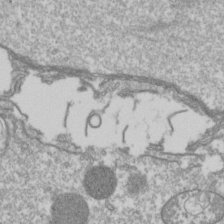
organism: Drosophila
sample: Cell division; meiosis; drosophila spermatocytes